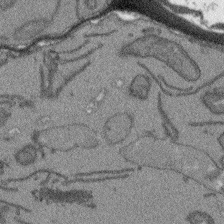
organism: Arabidopsis thaliana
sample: Root tip